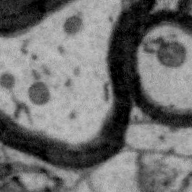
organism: Zebra finch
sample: Brain